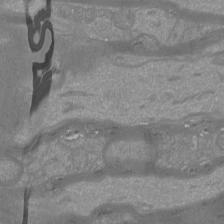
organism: Mouse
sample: Cortical neurons